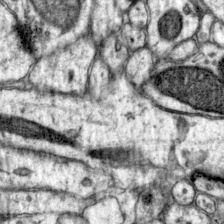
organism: Mouse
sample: Primary visual cortex